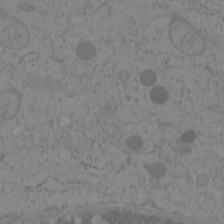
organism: Human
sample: HeLa cells